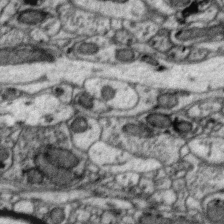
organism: Zebra finch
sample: Brain